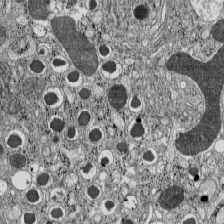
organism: C57BL Mouse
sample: Pancreatic islet